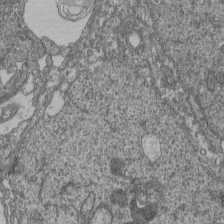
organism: Human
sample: Retinal organoid Rod and Cone cells